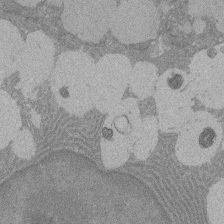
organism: Rat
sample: Salivary granule